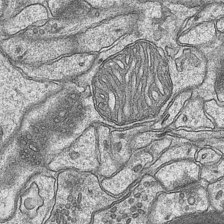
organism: Mouse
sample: CA1 Hippocampus